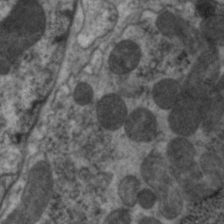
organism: C. elegans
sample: Pharynx